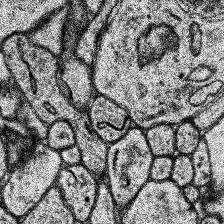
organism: Human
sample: Temporal Lobe